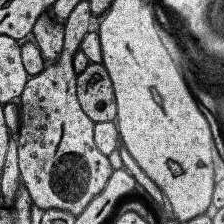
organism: Human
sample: Temporal Lobe